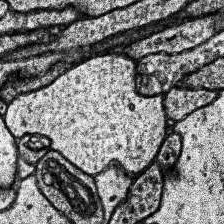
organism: Human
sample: Temporal Lobe